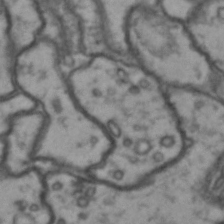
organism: Drosophila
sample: Brain